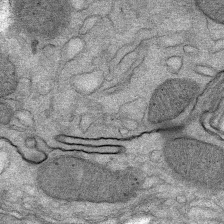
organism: Mouse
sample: Mouse Salivary gland